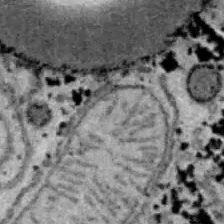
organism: Mouse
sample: Liver from an obese (ob/ob) mouse